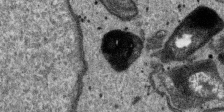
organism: Human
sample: Lung epithelial cells, uninfected (mock) control